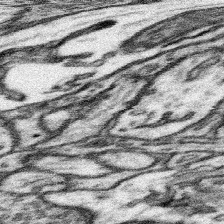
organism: Mouse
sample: Somatosensory cortex neuropil